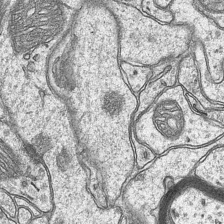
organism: Mouse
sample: CA1 Hippocampus